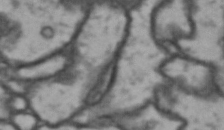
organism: Drosophila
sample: Brain